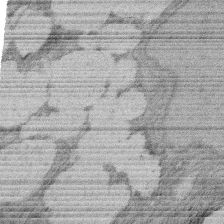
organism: Rat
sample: Salivary granule